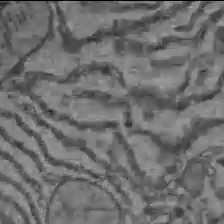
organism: C57BL Mouse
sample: Liver